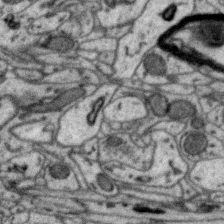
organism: Zebra finch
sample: Brain